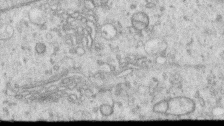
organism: Human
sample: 1205lu cells